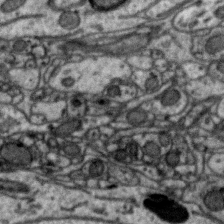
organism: Zebra finch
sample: Brain